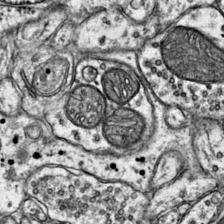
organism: Mouse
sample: Primary visual cortex